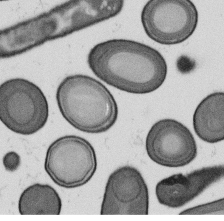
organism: B. subtilis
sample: Bacterial spore